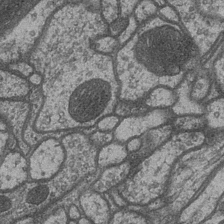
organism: Drosophila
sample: Optic medulla